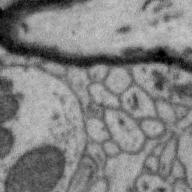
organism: Zebra finch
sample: Brain